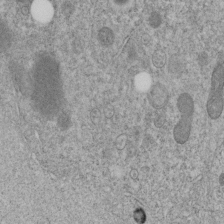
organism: C. elegans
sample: C. elegans embryo early stage